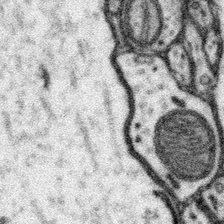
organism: Mouse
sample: Somatosensory cortex neuropil